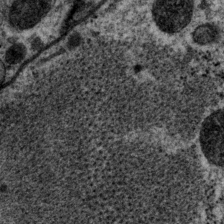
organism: P. pacificus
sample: Pharynx